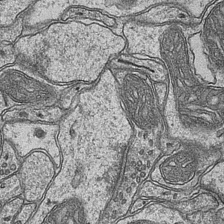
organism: Mouse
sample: CA1 Hippocampus